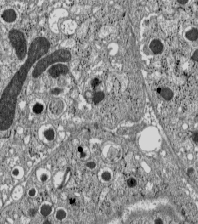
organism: C57BL Mouse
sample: Pancreatic islet